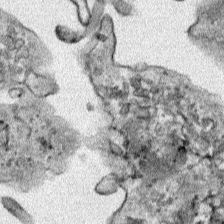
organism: Human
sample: Mitochondria in HCT116 cells